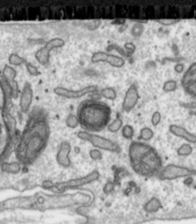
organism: Toxoplasma gondii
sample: Parasites in a vacuole inside a host cell